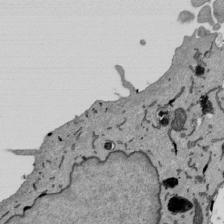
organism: Mouse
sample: ED-1 cell nuclei; centrioles